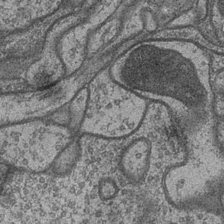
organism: Drosophila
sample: Optic medulla